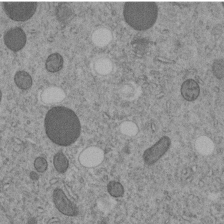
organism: C. elegans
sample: C. elegans embryo early stage